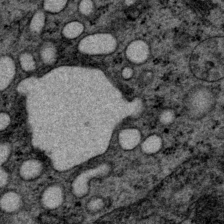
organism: P. pacificus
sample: Pharynx